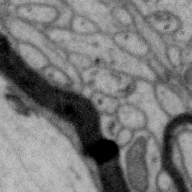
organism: Zebra finch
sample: Brain